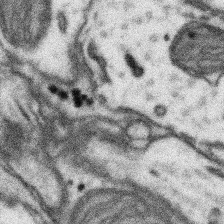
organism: Mouse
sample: Somatosensory cortex neuropil